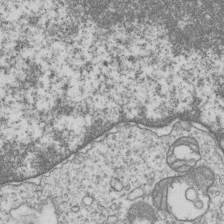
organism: Human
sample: MDA-MB-231 cells